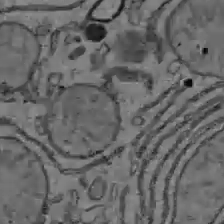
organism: C57BL Mouse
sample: Liver